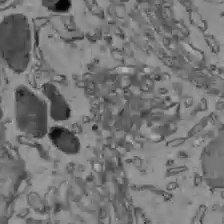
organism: C57BL Mouse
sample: Liver